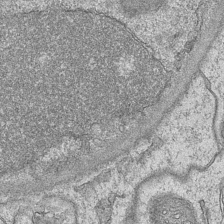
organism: Mouse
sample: CA1 Hippocampus